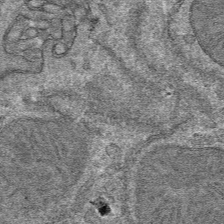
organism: Mouse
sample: Mouse hepatocytes